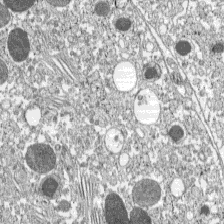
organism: C57BL Mouse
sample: Pancreatic islet